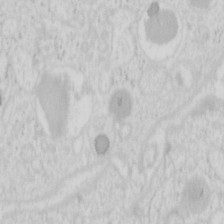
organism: Mouse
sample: Pancreas